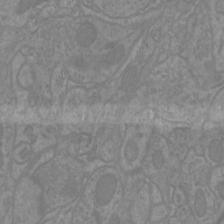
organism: Mouse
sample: Cortical neurons